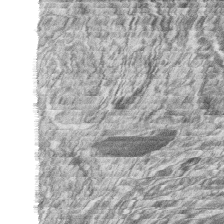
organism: Zebrafish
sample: synaptic ribbons in rod cells and cone cells